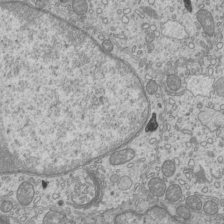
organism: Mouse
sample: Cilia; mouse epididymis